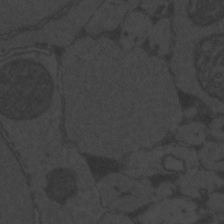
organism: Zebrafish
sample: Macrophage infected with Toxoplasma gondii